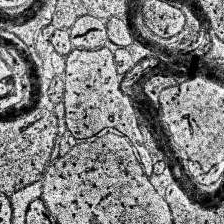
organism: Human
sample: Temporal Lobe